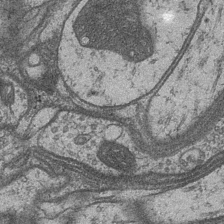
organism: Drosophila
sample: Optic medulla